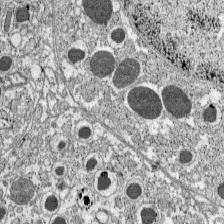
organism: C57BL Mouse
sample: Pancreatic islet